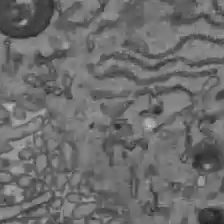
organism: C57BL Mouse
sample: Liver